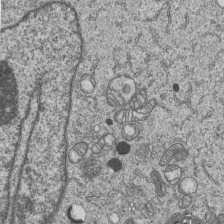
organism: Human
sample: MDA-MB-231 cells